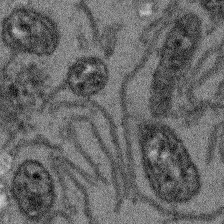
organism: Arabidopsis thaliana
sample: Root tip